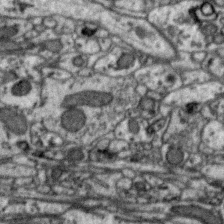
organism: Zebra finch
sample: Brain